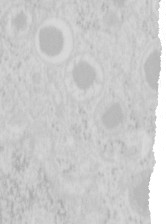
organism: Mouse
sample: Pancreas